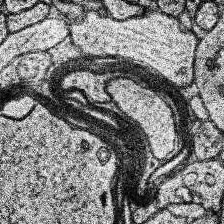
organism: Human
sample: Temporal Lobe